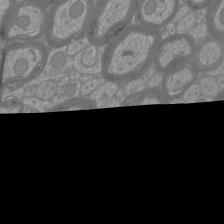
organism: Mouse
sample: Cortical neurons